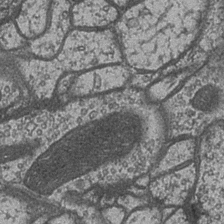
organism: Drosophila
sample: Optic medulla